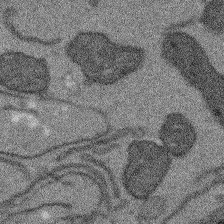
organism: Arabidopsis thaliana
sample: Root tip